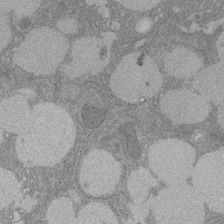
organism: Rat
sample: Salivary granule